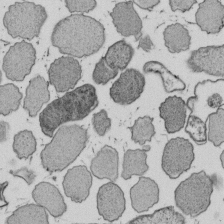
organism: E. coli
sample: Bacterial nucleoid